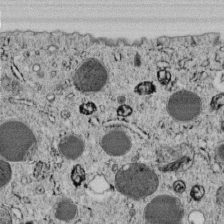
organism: C. elegans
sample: C. elegans embryo early stage